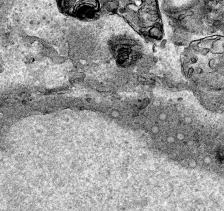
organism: Human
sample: Mitochondria in HCT116 cells